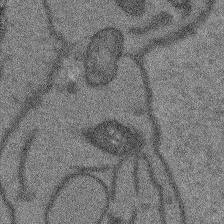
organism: Arabidopsis thaliana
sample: Root tip